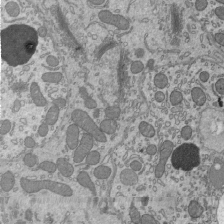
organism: Mouse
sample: Mouse epididymis efferent ductule cilia